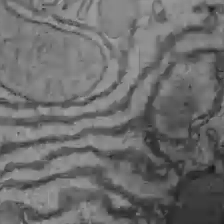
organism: C57BL Mouse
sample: Liver